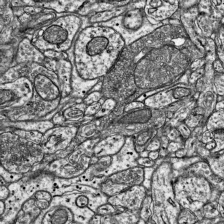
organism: Mouse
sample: Visual Cortex